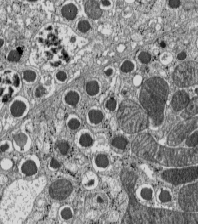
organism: C57BL Mouse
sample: Pancreatic islet